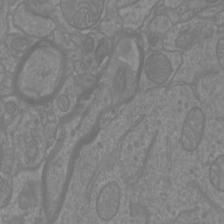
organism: Mouse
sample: Cortical neurons